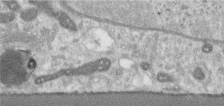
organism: Human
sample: Centriole in RPE cells